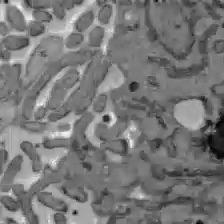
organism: C57BL Mouse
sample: Liver